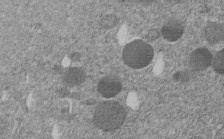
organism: C. elegans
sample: C. elegans embryo early stage